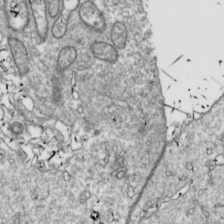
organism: Drosophila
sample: Cell division; meiosis; drosophila spermatocytes